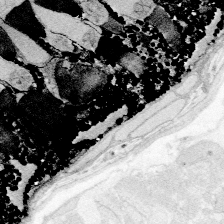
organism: Zebrafish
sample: Whole-Brain